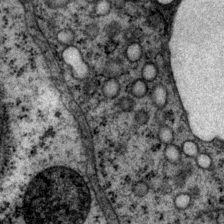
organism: P. pacificus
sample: Pharynx